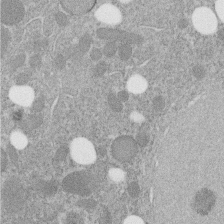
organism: C. elegans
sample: C. elegans embryo early stage